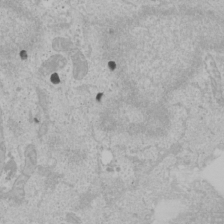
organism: Human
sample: Mitochondria in U2OS cells